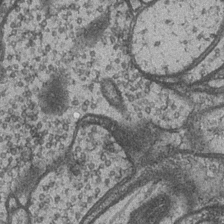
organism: Drosophila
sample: Optic medulla